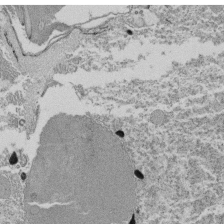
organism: Tetrahymena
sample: Cilia in tetrahymena